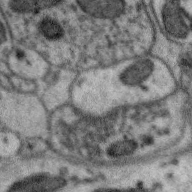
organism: Zebra finch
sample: Brain